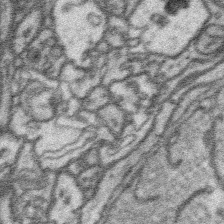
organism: Platynereis dumerilii